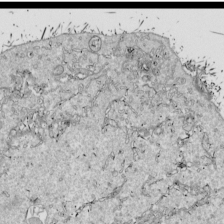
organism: Drosophila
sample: Cell division; meiosis; drosophila spermatocytes